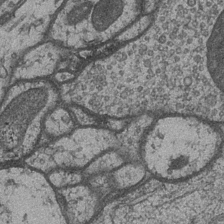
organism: Drosophila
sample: Optic medulla